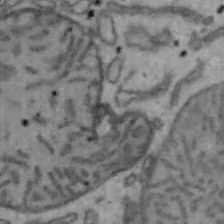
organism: Mouse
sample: Liver